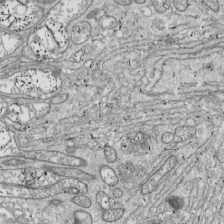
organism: Drosophila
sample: Cell division; meiosis; drosophila spermatocytes